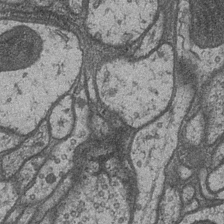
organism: Drosophila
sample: Optic medulla